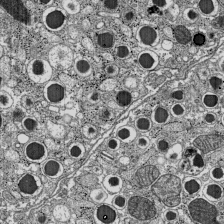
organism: C57BL Mouse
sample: Pancreatic islet